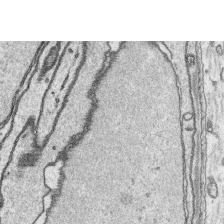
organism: Platynereis dumerilii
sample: Parapodia